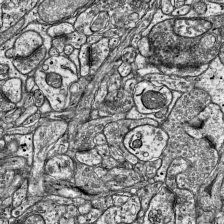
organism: Mouse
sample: Visual Cortex